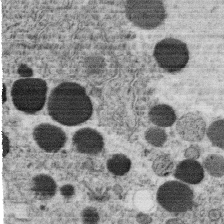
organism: C. elegans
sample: C. elegans oocyte; sperm cells